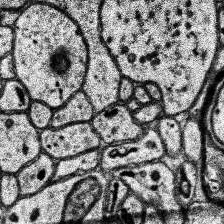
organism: Human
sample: Temporal Lobe